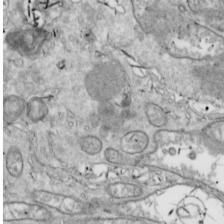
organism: Drosophila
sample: Cell division; meiosis; drosophila spermatocytes